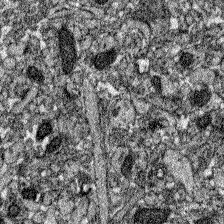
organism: Zebrafish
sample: Larval olfactory bulb